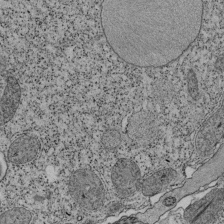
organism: Tetrahymena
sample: Cilia in tetrahymena